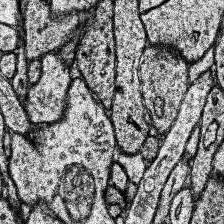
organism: Human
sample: Temporal Lobe